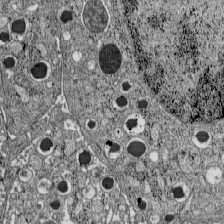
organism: C57BL Mouse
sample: Pancreatic islet